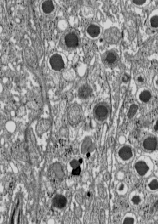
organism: C57BL Mouse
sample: Pancreatic islet